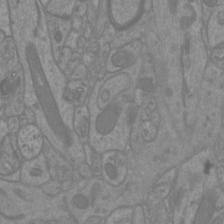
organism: Mouse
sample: Cortical neurons